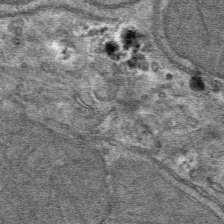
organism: Mouse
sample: Mouse hepatocytes